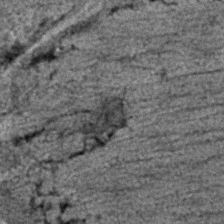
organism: C. elegans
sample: C. elegans embryo